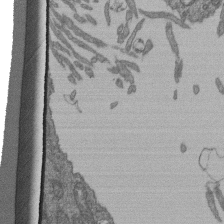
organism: Human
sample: Retinal organoid Rod and Cone cells